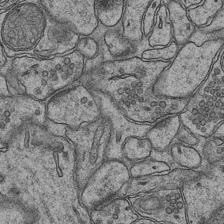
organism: Mouse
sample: CA1 Hippocampus